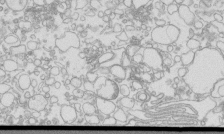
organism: Mouse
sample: Macrophages